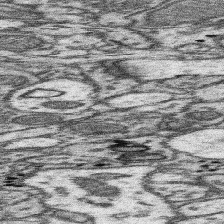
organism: Mouse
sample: Somatosensory cortex neuropil